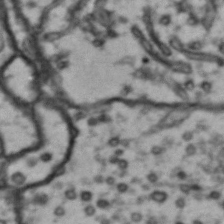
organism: Drosophila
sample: Brain